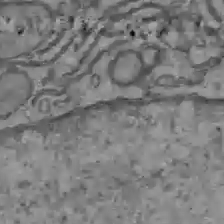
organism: C57BL Mouse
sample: Liver